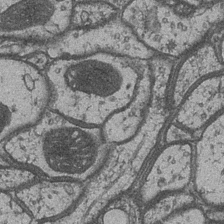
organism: Drosophila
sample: Optic medulla